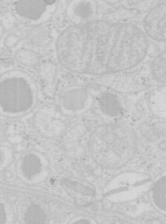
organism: Mouse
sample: Pancreas